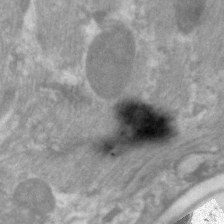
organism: C. elegans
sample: Pharynx